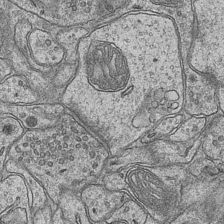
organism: Mouse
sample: CA1 Hippocampus